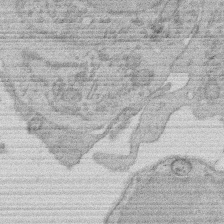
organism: Rat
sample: Salivary granule